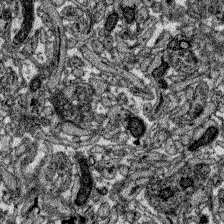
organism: Zebrafish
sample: Larval olfactory bulb